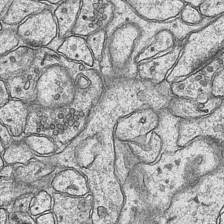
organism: Mouse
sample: CA1 Hippocampus